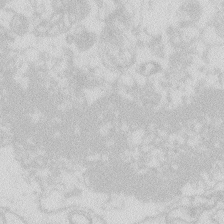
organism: Zebrafish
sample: Macrophage